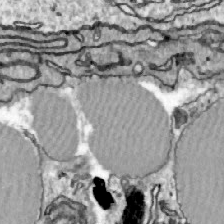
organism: Zebrafish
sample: Actinotrichia fibers